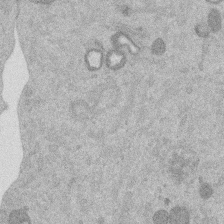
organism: Mouse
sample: Dividing mouse embryo 1 cell stage